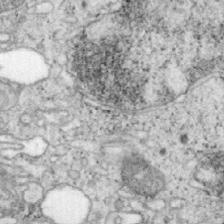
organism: Mouse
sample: OT-I killer T cells with ID8 ovarian cancer cells